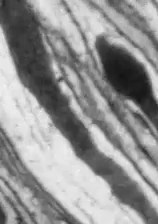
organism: Drosophila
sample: Optic lobe